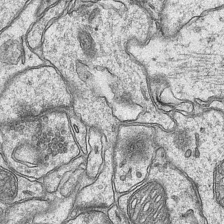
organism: Mouse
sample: CA1 Hippocampus